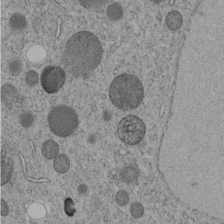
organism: C. elegans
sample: C. elegans embryo early stage